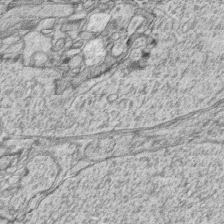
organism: Zebrafish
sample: synaptic ribbons in rod cells and cone cells